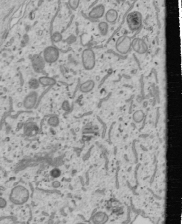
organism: Human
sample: Mitochondria in U2OS cells